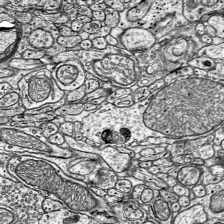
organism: Mouse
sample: Visual Cortex